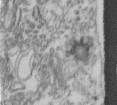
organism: Human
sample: Centriole in fibroblast cells